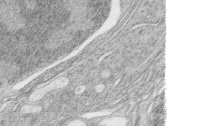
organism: Zebrafish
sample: synaptic ribbons in rod cells and cone cells